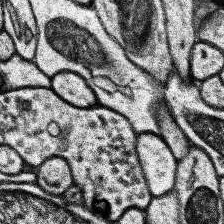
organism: Human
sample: Temporal Lobe